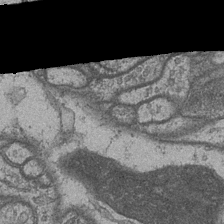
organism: Drosophila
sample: Optic medulla